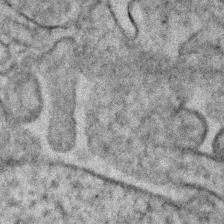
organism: Human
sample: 1205lu cells